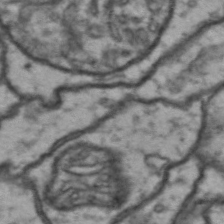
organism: Drosophila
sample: Brain